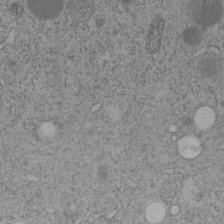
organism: C. elegans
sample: C. elegans embryo early stage